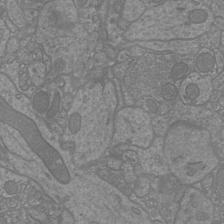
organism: Mouse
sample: Cortical neurons